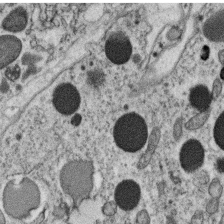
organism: C. elegans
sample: C. elegans oocyte; sperm cells